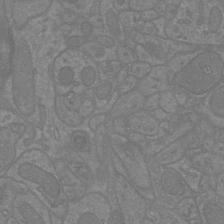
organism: Mouse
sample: Cortical neurons